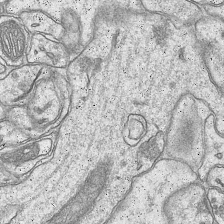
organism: Mouse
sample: CA1 Hippocampus